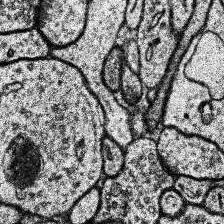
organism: Human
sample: Temporal Lobe